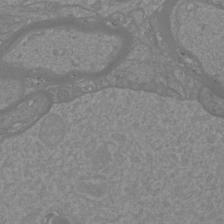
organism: Mouse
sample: Cortical neurons